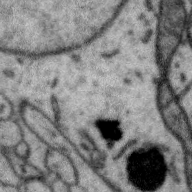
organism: Zebra finch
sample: Brain